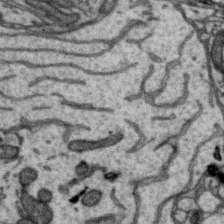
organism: Zebra finch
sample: Brain